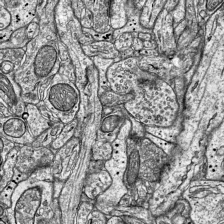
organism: Mouse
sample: Visual Cortex